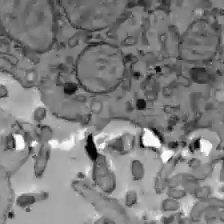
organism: C57BL Mouse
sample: Liver